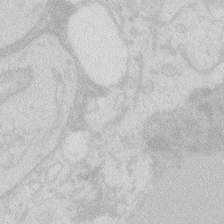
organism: Zebrafish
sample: Macrophage